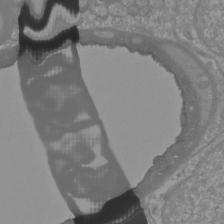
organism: Mouse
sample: Cortical neurons